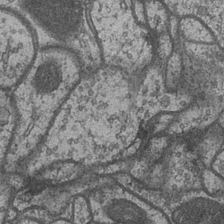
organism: Drosophila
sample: Optic medulla